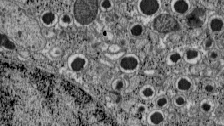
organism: C57BL Mouse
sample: Pancreatic islet